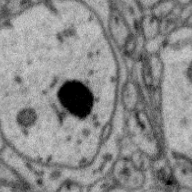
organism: Zebra finch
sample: Brain